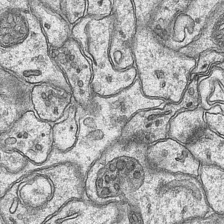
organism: Mouse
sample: CA1 Hippocampus